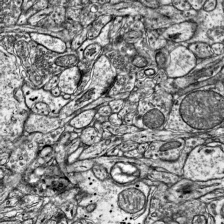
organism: Mouse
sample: Visual Cortex